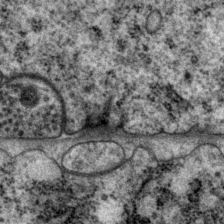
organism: P. pacificus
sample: Pharynx